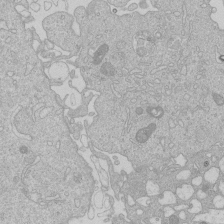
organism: Human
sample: Macrophage cells